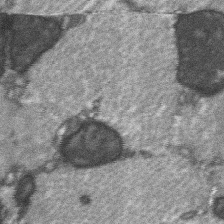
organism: C57BL Mouse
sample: Soleus